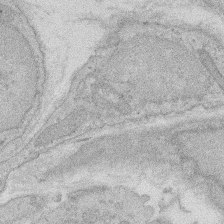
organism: Rat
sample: Salivary granule